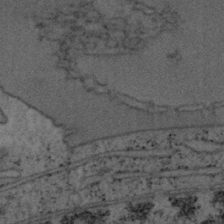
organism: Human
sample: HeLa cells